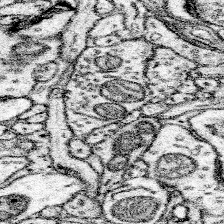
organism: Mouse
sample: Somatosensory cortex neuropil